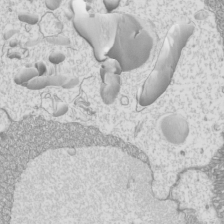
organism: Mouse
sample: Cilia; mouse epididymis